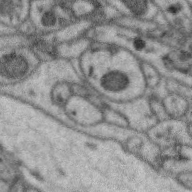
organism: Zebra finch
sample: Brain